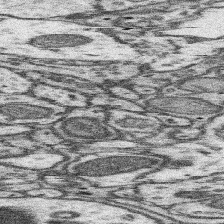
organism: Mouse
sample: Somatosensory cortex neuropil